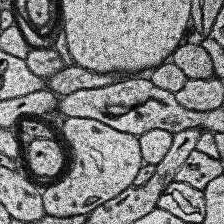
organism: Human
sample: Temporal Lobe